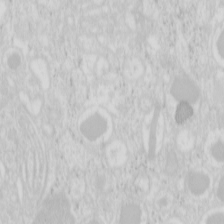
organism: Mouse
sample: Pancreas